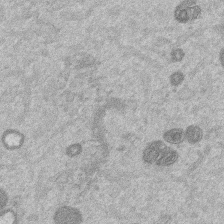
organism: Mouse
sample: Dividing mouse embryo 1 cell stage